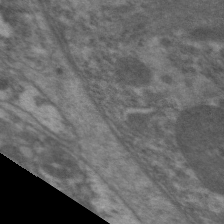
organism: C. elegans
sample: Pharynx